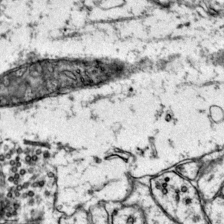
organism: Mouse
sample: Primary visual cortex